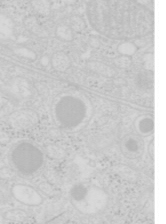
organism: Mouse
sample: Pancreas